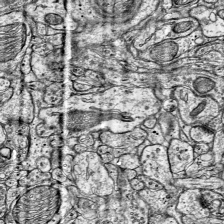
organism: Mouse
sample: Visual Cortex